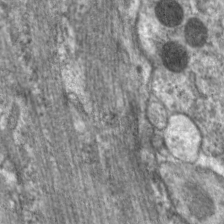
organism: C. elegans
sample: Pharynx